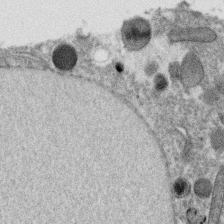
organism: C. elegans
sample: C. elegans oocyte; sperm cells